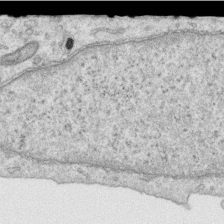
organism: Human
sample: Centriole in RPE cells